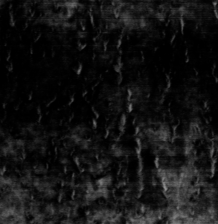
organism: Toxoplasma gondii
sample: Parasites in a vacuole inside a host cell